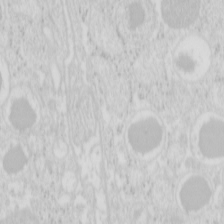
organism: Mouse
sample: Pancreas